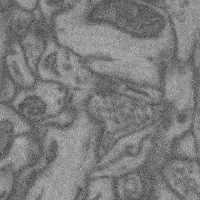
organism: Mouse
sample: Cerebral cortex